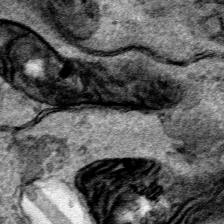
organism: Human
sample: Mitochondria in HCT116 cells